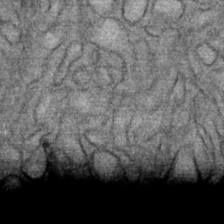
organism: Mouse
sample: Mouse Salivary gland